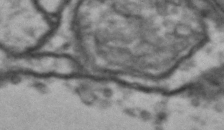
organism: Drosophila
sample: Brain